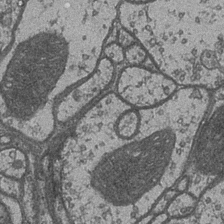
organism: Drosophila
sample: Optic medulla